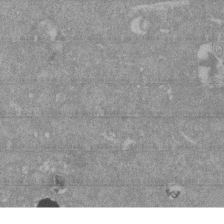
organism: Mouse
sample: ED-1 cell nuclei; centrioles